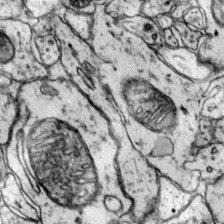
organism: Mouse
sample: Primary visual cortex